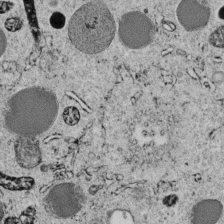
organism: C. elegans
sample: C. elegans embryo early stage